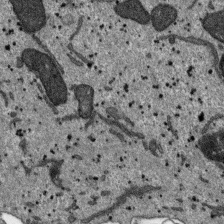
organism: Human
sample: Lung epithelial cells, uninfected (mock) control